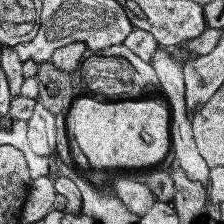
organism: Human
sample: Temporal Lobe